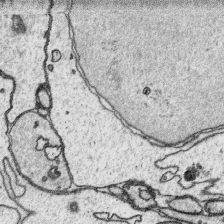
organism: Platynereis dumerilii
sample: Parapodia